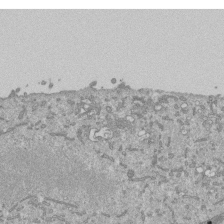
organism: Mouse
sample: ED-1 cell nuclei; centrioles